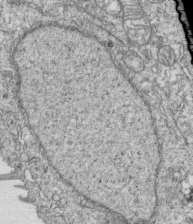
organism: Human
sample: HeLa cell HIV synapse